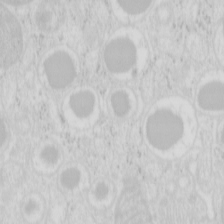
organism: Mouse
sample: Pancreas